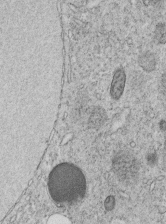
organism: C. elegans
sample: C. elegans embryo early stage